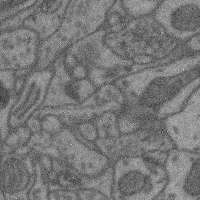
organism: Mouse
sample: Cerebral cortex